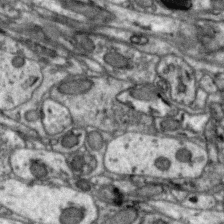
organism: Zebra finch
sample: Brain